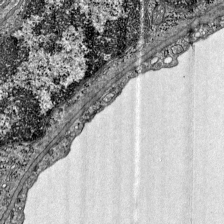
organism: Mouse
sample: Visual Cortex